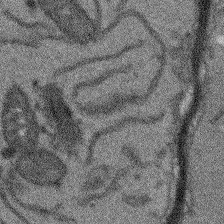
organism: Arabidopsis thaliana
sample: Root tip